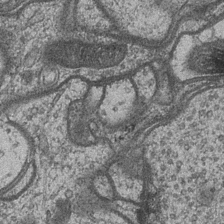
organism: Drosophila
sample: Optic medulla